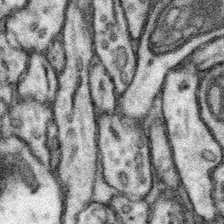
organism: Mouse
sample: Somatosensory cortex neuropil